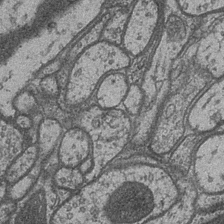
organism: Drosophila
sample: Optic medulla